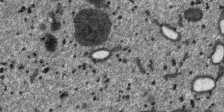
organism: Human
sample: Lung epithelial cells infected with SARS-CoV-2